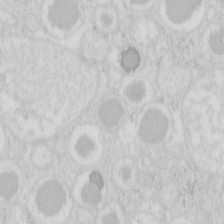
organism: Mouse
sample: Pancreas